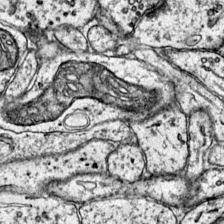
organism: Mouse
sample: Primary visual cortex